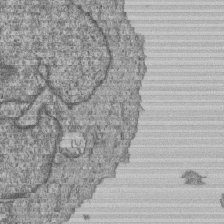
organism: Human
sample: MDA-MB-231 cells